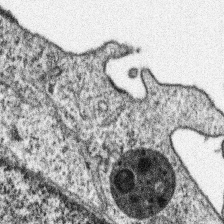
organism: Human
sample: HeLa cells